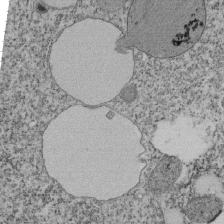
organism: Tetrahymena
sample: Cilia in tetrahymena